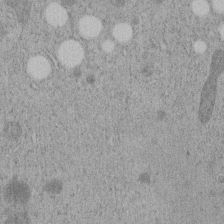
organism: C. elegans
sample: C. elegans embryo early stage